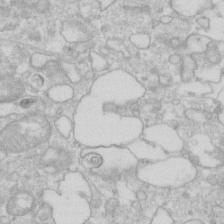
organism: Human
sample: Fibroblast cells